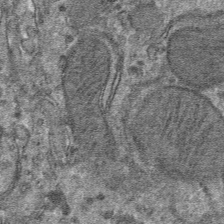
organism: Mouse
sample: Mouse hepatocytes